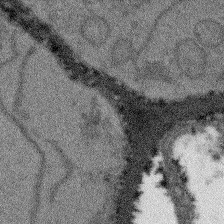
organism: Arabidopsis thaliana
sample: Root tip